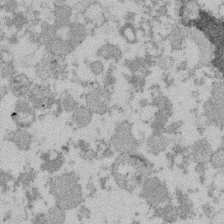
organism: Mouse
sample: Dividing mouse embryo 1 cell stage